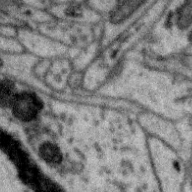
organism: Zebra finch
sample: Brain